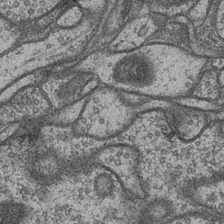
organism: Drosophila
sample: Optic medulla